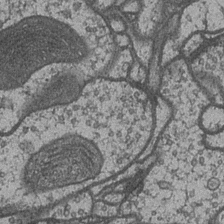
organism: Drosophila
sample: Optic medulla